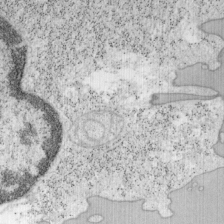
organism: Mouse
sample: OT-I killer T cells with ID8 ovarian cancer cells